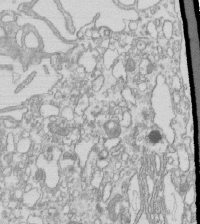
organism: Mouse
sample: Macrophages